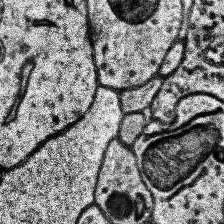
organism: Human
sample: Temporal Lobe